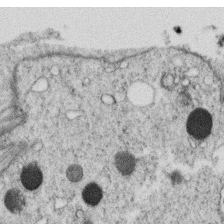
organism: C. elegans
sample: C. elegans oocyte; sperm cells